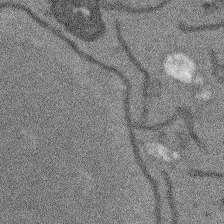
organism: Arabidopsis thaliana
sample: Root tip